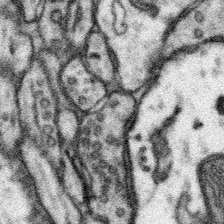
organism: Mouse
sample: Somatosensory cortex neuropil